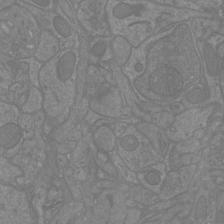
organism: Mouse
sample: Cortical neurons